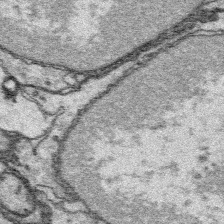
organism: Platynereis dumerilii